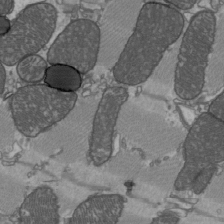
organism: C57BL Mouse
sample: Heart